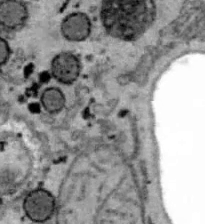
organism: Mouse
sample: Liver from an obese (ob/ob) mouse